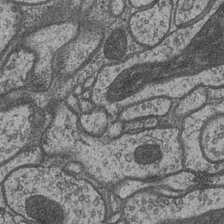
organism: Drosophila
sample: Optic medulla